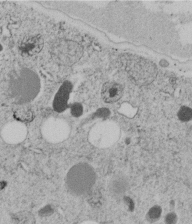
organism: C. elegans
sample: C. elegans embryo early stage